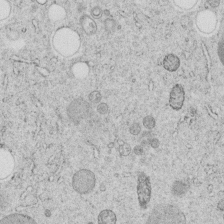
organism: C. elegans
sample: C. elegans embryo early stage